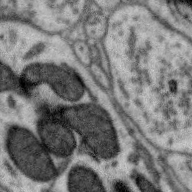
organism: Zebra finch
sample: Brain